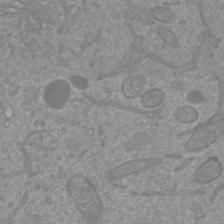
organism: Mouse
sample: Cortical neurons